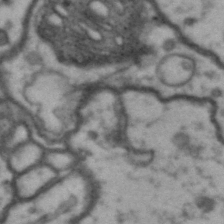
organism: Drosophila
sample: Brain